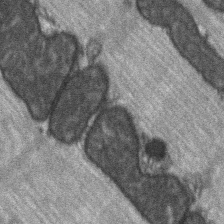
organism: C57BL Mouse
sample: Soleus